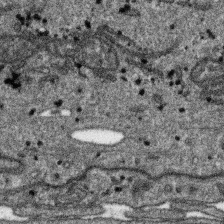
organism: Human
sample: Lung epithelial cells infected with SARS-CoV-2